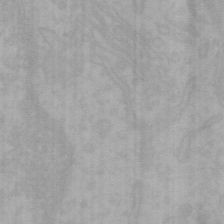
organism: Mouse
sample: Choroid plexus